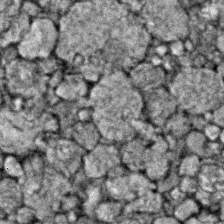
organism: Zebrafish